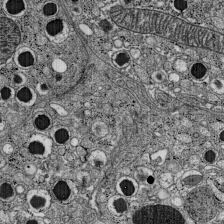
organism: C57BL Mouse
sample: Pancreatic islet